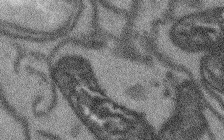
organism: Arabidopsis thaliana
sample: Root tip